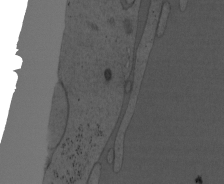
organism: Mouse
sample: OT-I killer T cells with ID8 ovarian cancer cells